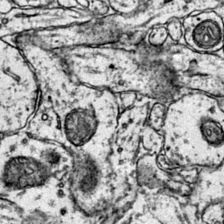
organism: Mouse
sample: Primary visual cortex